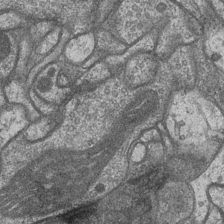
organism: Drosophila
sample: Optic medulla